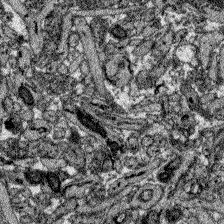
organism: Zebrafish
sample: Larval olfactory bulb